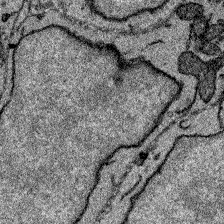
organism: Zebrafish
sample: Larval olfactory bulb